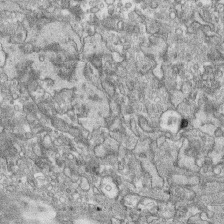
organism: Human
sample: CRL-1474